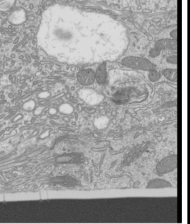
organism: Mouse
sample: Cilia; mouse epididymis